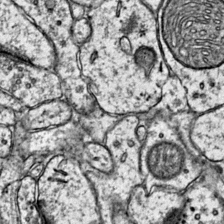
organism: Mouse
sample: Primary visual cortex